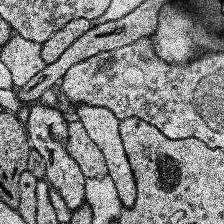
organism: Human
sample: Temporal Lobe